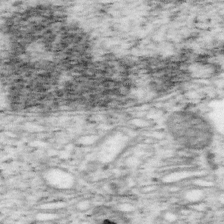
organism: Mouse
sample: OT-I killer T cells with ID8 ovarian cancer cells